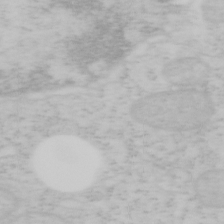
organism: Mouse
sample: OT-I killer T cells with ID8 ovarian cancer cells